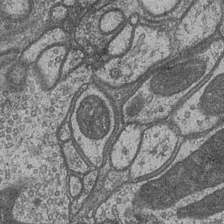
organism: Drosophila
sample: Optic medulla